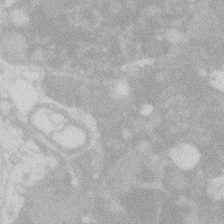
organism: Zebrafish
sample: Macrophage